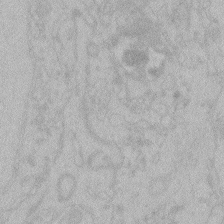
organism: Zebrafish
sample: Macrophage infected with Toxoplasma gondii